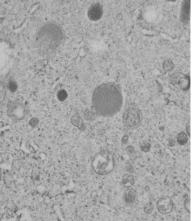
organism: C. elegans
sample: C. elegans embryo early stage